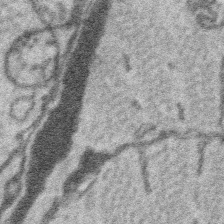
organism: Platynereis dumerilii